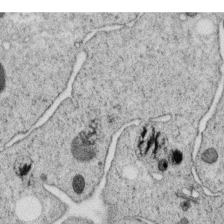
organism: C. elegans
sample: C. elegans oocyte; sperm cells